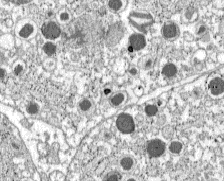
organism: C57BL Mouse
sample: Pancreatic islet